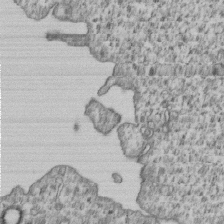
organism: Human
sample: MDA-MB-231 cells